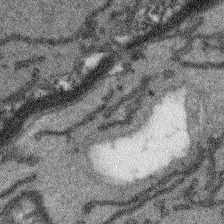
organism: Arabidopsis thaliana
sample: Root tip